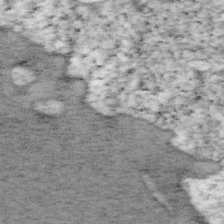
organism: Mouse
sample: OT-I killer T cells with ID8 ovarian cancer cells